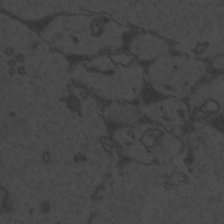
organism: Zebrafish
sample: Macrophage infected with Toxoplasma gondii